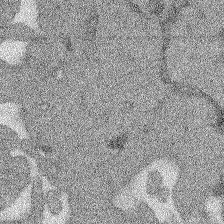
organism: Human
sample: HeLa cells